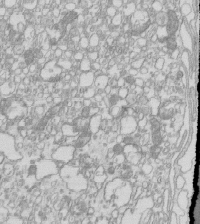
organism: Mouse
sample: Macrophages